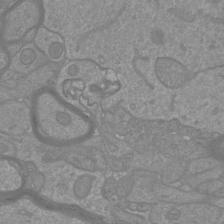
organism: Mouse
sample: Cortical neurons